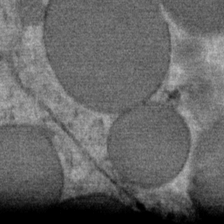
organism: Mouse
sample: Mouse Salivary gland